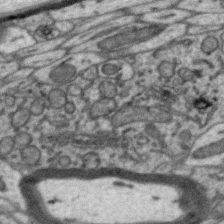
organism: Zebra finch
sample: Brain